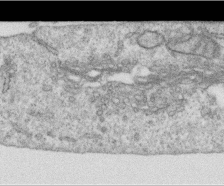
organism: Human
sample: Centriole in RPE cells